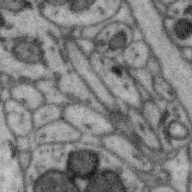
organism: Zebra finch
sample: Brain